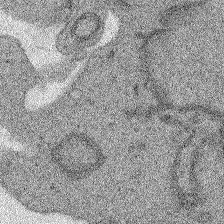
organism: Human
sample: HeLa cells